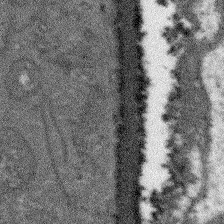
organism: Arabidopsis thaliana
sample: Root tip